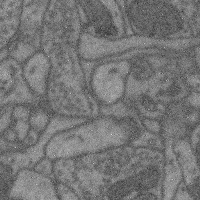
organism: Mouse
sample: Cerebral cortex